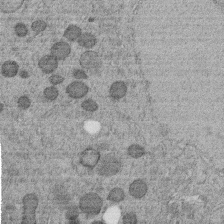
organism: C. elegans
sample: C. elegans embryo early stage